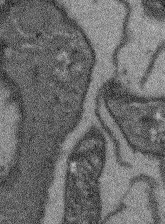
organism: Arabidopsis thaliana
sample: Root tip